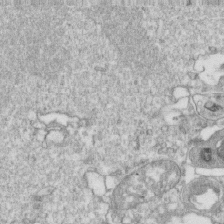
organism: Mouse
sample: Activated OT-1 CD8+ T cells